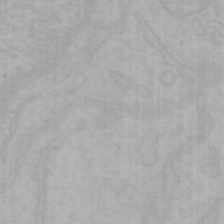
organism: Mouse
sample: Choroid plexus